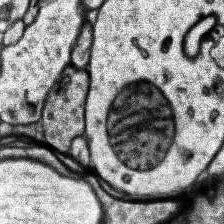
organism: Human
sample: Temporal Lobe